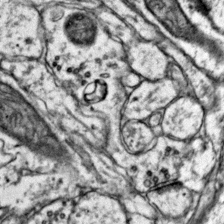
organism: Mouse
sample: Primary visual cortex